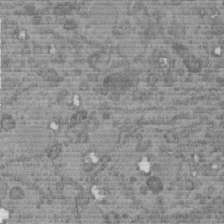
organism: C. elegans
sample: C. elegans embryo early stage